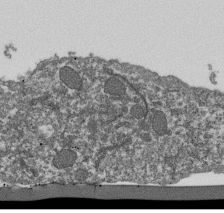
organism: Dictyostelium discoideum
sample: Dictyostelium multivesicular bodies